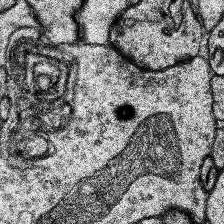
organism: Human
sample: Temporal Lobe